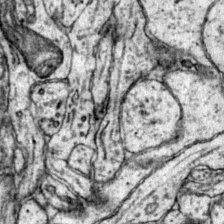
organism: Mouse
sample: Primary visual cortex